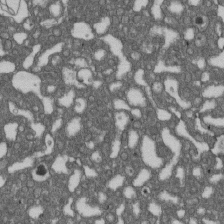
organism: Drosophila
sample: Nephrocyte